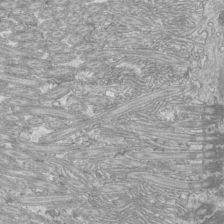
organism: Mouse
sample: Cilia; mouse epididymis